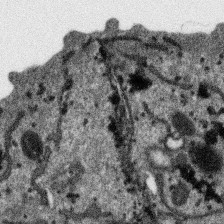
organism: Human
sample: Lung epithelial cells infected with SARS-CoV-2